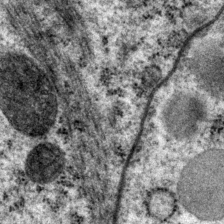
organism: P. pacificus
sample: Pharynx